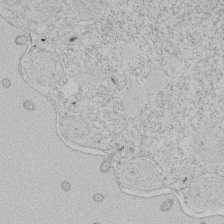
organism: Tetrahymena